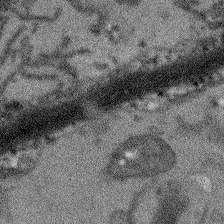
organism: Arabidopsis thaliana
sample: Root tip